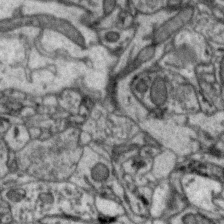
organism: Zebra finch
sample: Brain